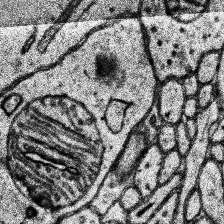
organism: Human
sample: Temporal Lobe